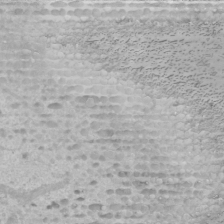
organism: Human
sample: Mitochondria in U2OS cells